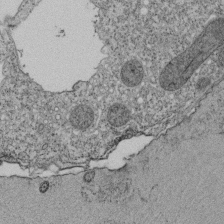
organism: Tetrahymena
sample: Cilia in tetrahymena